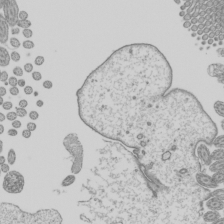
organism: Mouse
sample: Cilia; mouse epididymis